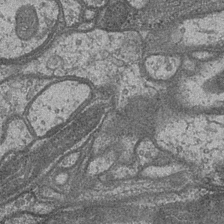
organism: Drosophila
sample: Optic medulla